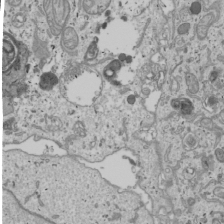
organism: Human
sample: Mitochondria in U2OS cells